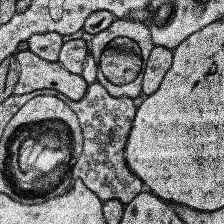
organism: Human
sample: Temporal Lobe